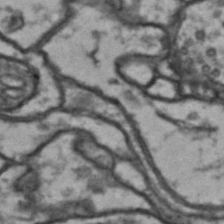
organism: Drosophila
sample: Brain